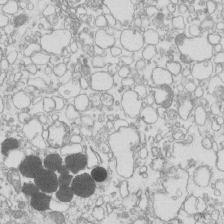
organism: Mouse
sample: Macrophages